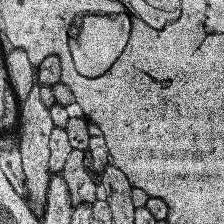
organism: Human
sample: Temporal Lobe